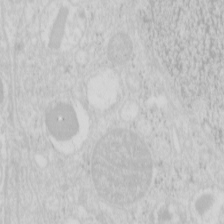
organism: Mouse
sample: Pancreas